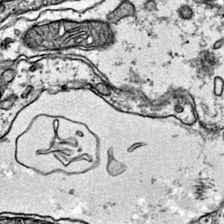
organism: Mouse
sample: Primary visual cortex